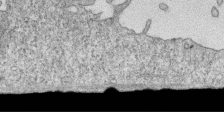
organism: Human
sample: HeLa cell HIV synapse